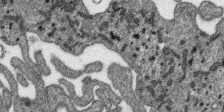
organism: Human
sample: Lung epithelial cells infected with SARS-CoV-2